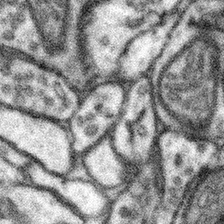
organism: Mouse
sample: Somatosensory cortex neuropil